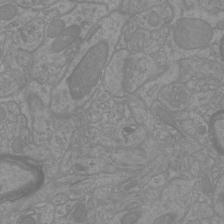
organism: Mouse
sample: Cortical neurons